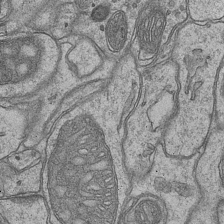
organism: Mouse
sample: CA1 Hippocampus